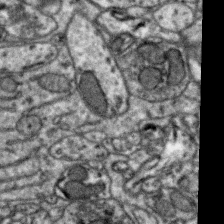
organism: Zebra finch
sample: Brain